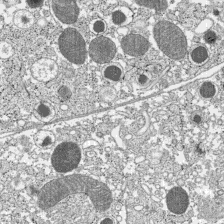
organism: C57BL Mouse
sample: Pancreatic islet